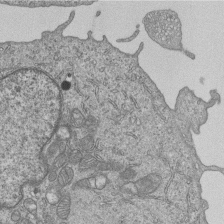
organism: Human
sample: MDA-MB-231 cells